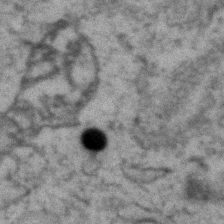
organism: Zebrafish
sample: Zebrafish embryo